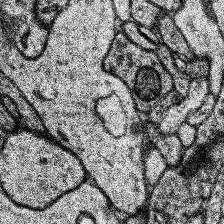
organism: Human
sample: Temporal Lobe